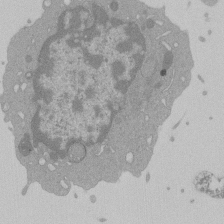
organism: Mouse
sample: Activated Pmel transgenic CD8+ T Cells